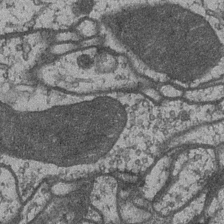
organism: Drosophila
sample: Optic medulla